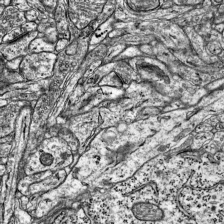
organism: Mouse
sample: Visual Cortex